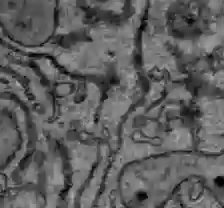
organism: C57BL Mouse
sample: Liver